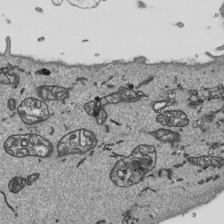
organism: Human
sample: Mitochondria in HCT116 cells